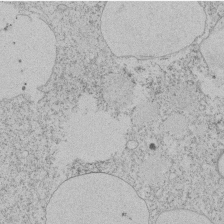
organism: Tetrahymena